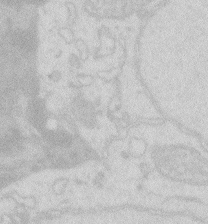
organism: Zebrafish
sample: Macrophage